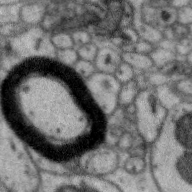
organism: Zebra finch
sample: Brain